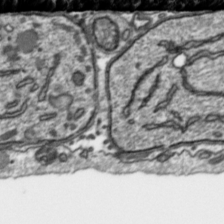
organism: Toxoplasma gondii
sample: Parasites in a vacuole inside a host cell